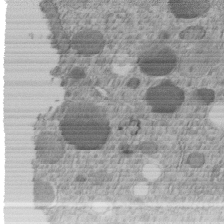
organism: C. elegans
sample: C. elegans embryo early stage